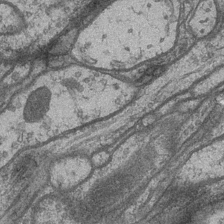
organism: Drosophila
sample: Optic medulla